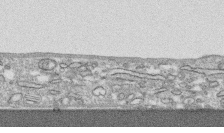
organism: Human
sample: CRL-1474